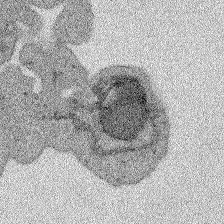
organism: Human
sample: HeLa cells